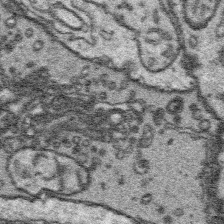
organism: Platynereis dumerilii